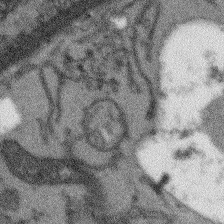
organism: Arabidopsis thaliana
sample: Root tip